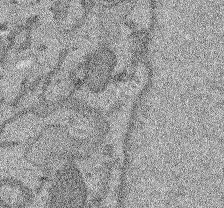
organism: Human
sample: HeLa cells